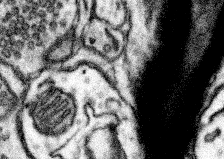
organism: Mouse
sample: Somatosensory cortex neuropil